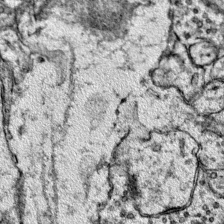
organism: Mouse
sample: Primary visual cortex